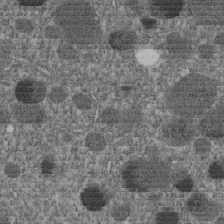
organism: C. elegans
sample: C. elegans embryo early stage